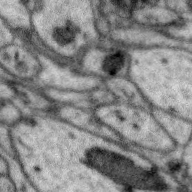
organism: Zebra finch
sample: Brain